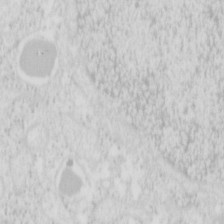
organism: Mouse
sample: Pancreas